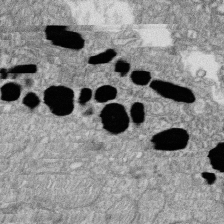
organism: Zebrafish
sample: Cilia; retinal pigment epithelium